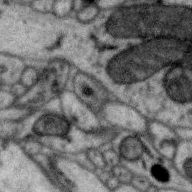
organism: Zebra finch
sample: Brain